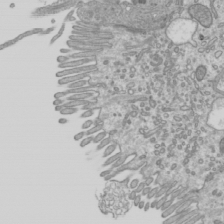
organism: Mouse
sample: Cilia; mouse epididymis